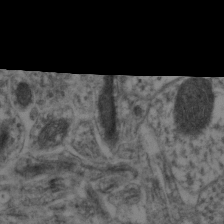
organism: Mouse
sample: Neocortex